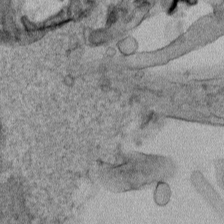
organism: Human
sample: Mitochondria in HCT116 cells